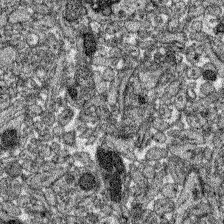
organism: Zebrafish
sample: Larval olfactory bulb